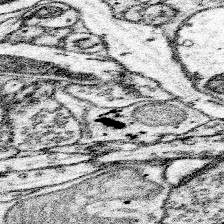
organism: Mouse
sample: Somatosensory cortex neuropil